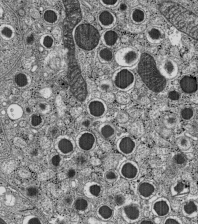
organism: C57BL Mouse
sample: Pancreatic islet